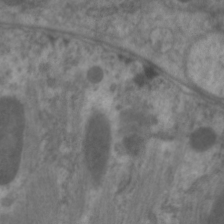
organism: C. elegans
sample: Pharynx